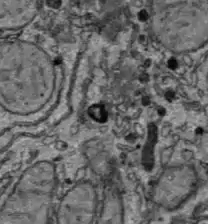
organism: C57BL Mouse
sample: Liver